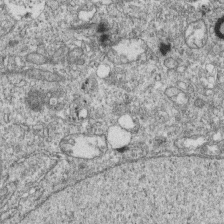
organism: Human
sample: HeLa cell HIV synapse